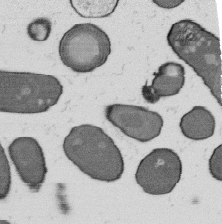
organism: B. subtilis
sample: Bacterial spore